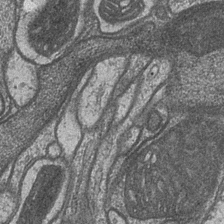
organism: Drosophila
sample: Optic medulla